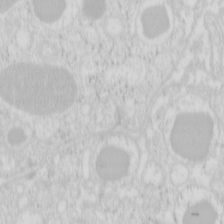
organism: Mouse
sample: Pancreas